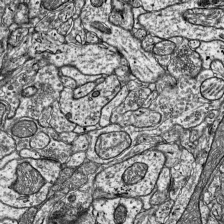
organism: Mouse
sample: Visual Cortex